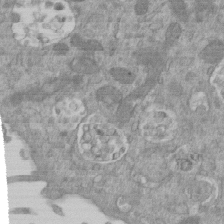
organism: Mouse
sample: ED-1 cell nuclei; centrioles